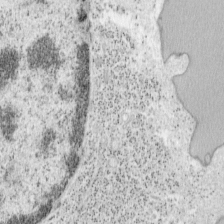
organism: Mouse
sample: OT-I killer T cells with ID8 ovarian cancer cells